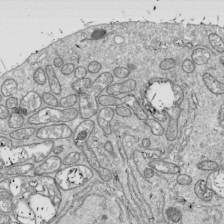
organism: Drosophila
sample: Cell division; meiosis; drosophila spermatocytes